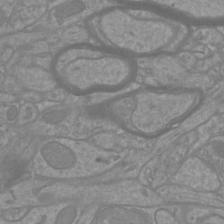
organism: Mouse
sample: Cortical neurons